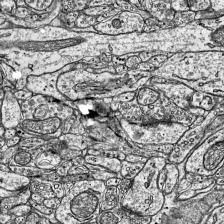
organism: Mouse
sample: Visual Cortex